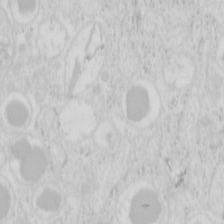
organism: Mouse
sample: Pancreas